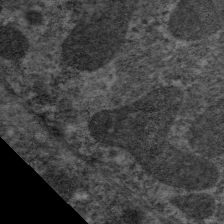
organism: C. elegans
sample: Pharynx